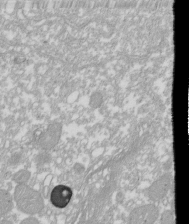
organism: Xenopus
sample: Cilia; centrioles in frog embryo cells